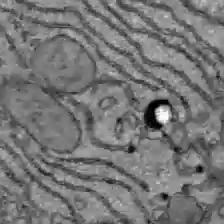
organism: C57BL Mouse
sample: Liver